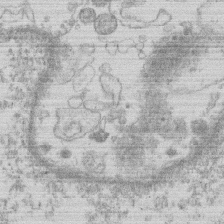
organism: Human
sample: Macrophage cells